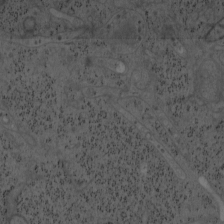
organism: Mouse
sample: OT-I killer T cells with ID8 ovarian cancer cells